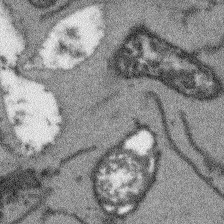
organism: Arabidopsis thaliana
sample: Root tip